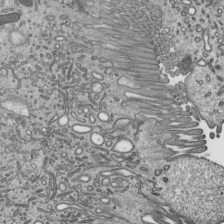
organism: Mouse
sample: Mouse epididymis efferent ductule cilia